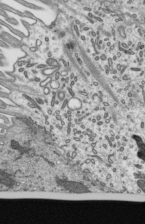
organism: Mouse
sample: Mouse epididymis efferent ductule cilia